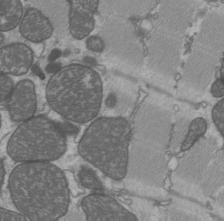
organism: C57BL Mouse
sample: Heart